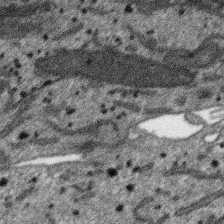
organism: Human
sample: Lung epithelial cells infected with SARS-CoV-2